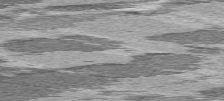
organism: C57BL Mouse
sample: Heart